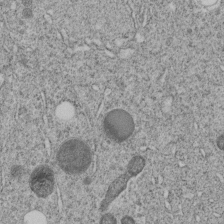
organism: C. elegans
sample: C. elegans embryo early stage